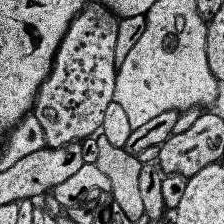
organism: Human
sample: Temporal Lobe